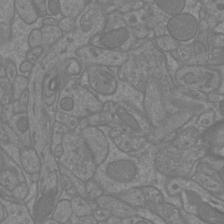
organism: Mouse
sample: Cortical neurons